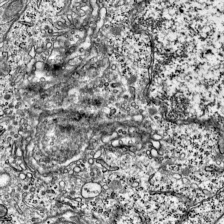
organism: Mouse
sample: Visual Cortex